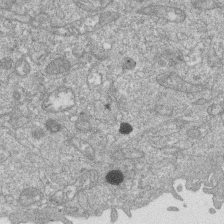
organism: Human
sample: HeLa cell HIV synapse